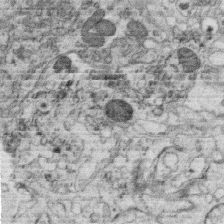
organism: C. elegans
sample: C. elegans oocyte; sperm cells